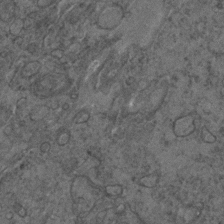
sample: Trachea